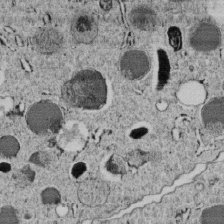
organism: C. elegans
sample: C. elegans embryo early stage